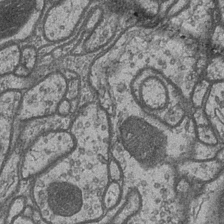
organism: Drosophila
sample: Optic medulla